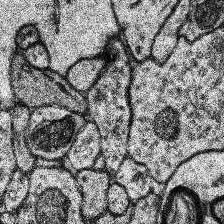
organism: Human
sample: Temporal Lobe